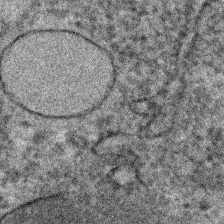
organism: C. elegans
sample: C. elegans embryo